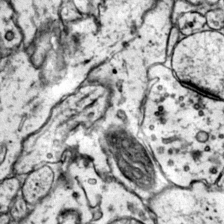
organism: Mouse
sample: Primary visual cortex